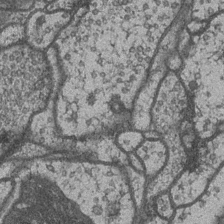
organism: Drosophila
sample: Optic medulla